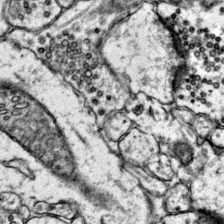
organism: Mouse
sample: Primary visual cortex